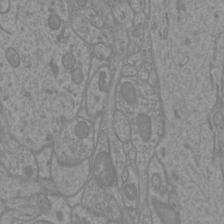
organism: Mouse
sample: Cortical neurons